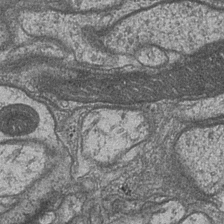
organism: Drosophila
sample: Optic medulla